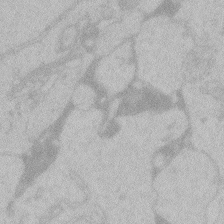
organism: Zebrafish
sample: Macrophage infected with Toxoplasma gondii